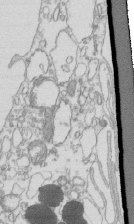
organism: Mouse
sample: Macrophages